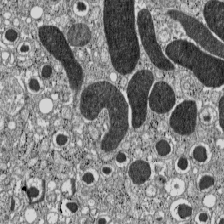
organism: C57BL Mouse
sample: Pancreatic islet